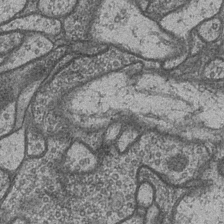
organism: Drosophila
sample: Optic medulla